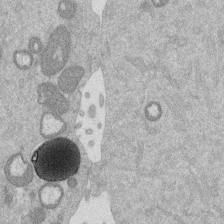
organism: Mouse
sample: Dividing mouse embryo 1 cell stage